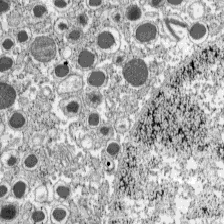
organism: C57BL Mouse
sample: Pancreatic islet